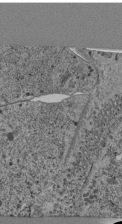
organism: C. elegans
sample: C. elegans pharynx